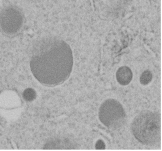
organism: C. elegans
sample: C. elegans embryo early stage